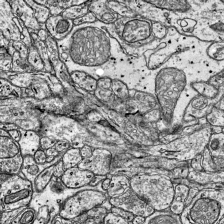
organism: Mouse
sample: Visual Cortex